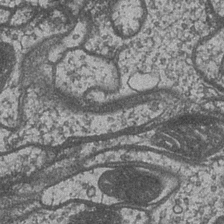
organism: Drosophila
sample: Optic medulla